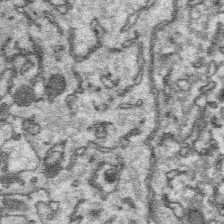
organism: Platynereis dumerilii